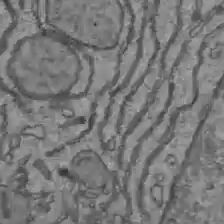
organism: C57BL Mouse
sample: Liver